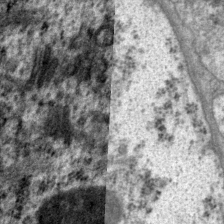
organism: P. pacificus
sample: Pharynx